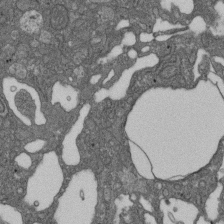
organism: Drosophila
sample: Nephrocyte